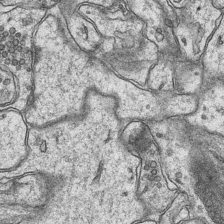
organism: Mouse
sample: CA1 Hippocampus